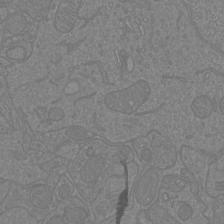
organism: Mouse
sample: Cortical neurons